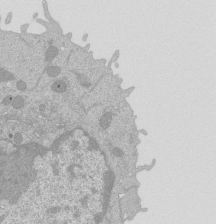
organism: Mouse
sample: Activated Pmel transgenic CD8+ T Cells